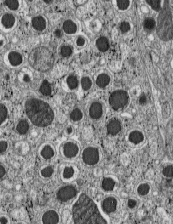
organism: C57BL Mouse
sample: Pancreatic islet